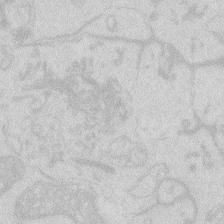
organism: Zebrafish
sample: Macrophage